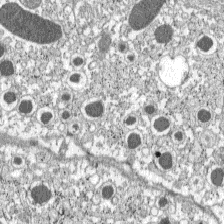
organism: C57BL Mouse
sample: Pancreatic islet